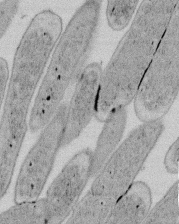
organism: E. coli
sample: Bacterial nucleoid